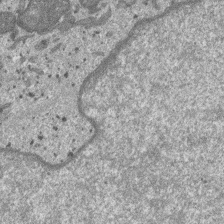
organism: Human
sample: Lung epithelial cells infected with SARS-CoV-2